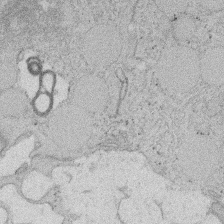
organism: Rat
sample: Salivary granule